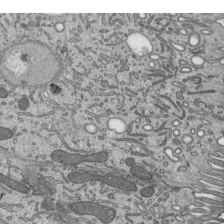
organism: Mouse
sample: Mouse epididymis efferent ductule cilia